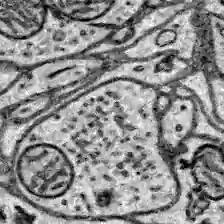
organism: Zebrafish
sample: Brain